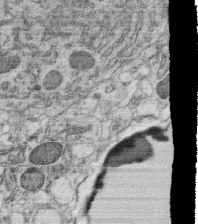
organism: C. elegans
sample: C. elegans oocyte; sperm cells